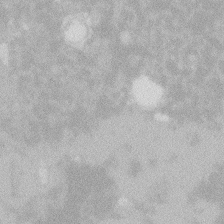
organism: Zebrafish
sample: Macrophage